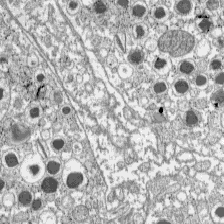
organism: C57BL Mouse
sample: Pancreatic islet